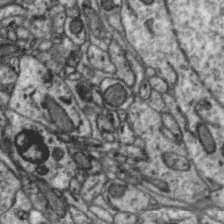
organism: Zebra finch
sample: Brain